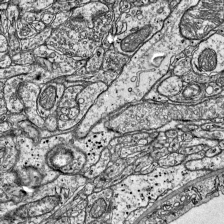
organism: Mouse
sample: Visual Cortex